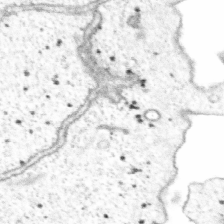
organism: Human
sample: HeLa cells